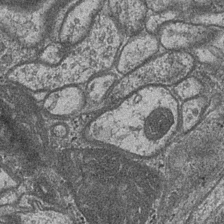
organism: Drosophila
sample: Optic medulla